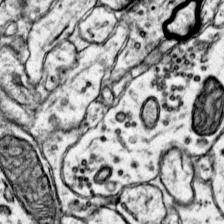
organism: Mouse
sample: Primary visual cortex